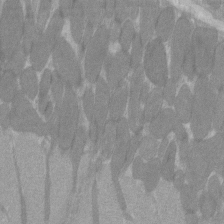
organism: C57BL Mouse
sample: Tibialis anterior muscle cell